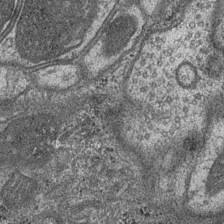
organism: Drosophila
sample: Optic medulla